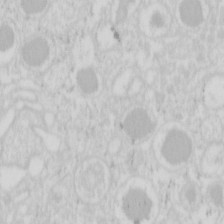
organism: Mouse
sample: Pancreas